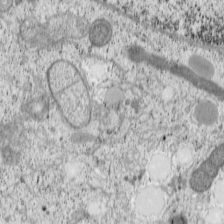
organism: African green monkey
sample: COS-7 cells